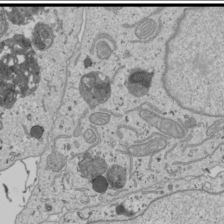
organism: Human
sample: Mitochondria in U2OS cells